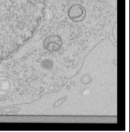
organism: Human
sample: Mitochondria in HCT116 cells